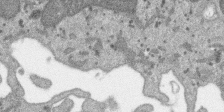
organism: Human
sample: Lung epithelial cells infected with SARS-CoV-2